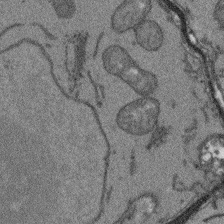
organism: Arabidopsis thaliana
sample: Root tip